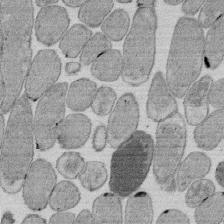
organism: E. coli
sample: Bacterial nucleoid